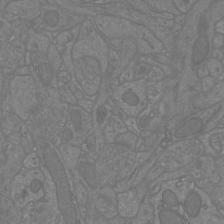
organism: Mouse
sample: Cortical neurons